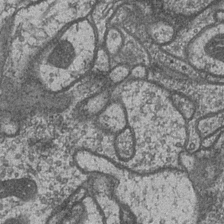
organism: Drosophila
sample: Optic medulla